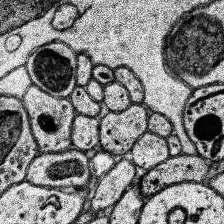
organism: Human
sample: Temporal Lobe